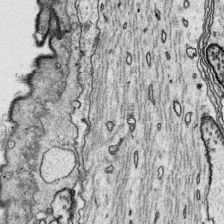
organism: Platynereis dumerilii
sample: Parapodia